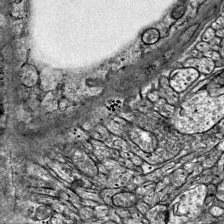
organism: Mouse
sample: Visual Cortex